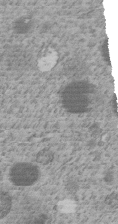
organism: C. elegans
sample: C. elegans embryo early stage